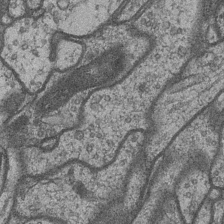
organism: Drosophila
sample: Optic medulla